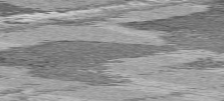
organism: C57BL Mouse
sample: Heart